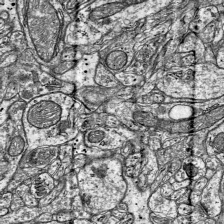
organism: Mouse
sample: Visual Cortex